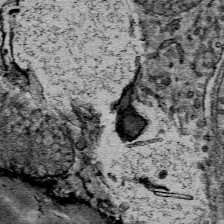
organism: Mouse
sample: Mouse Salivary gland